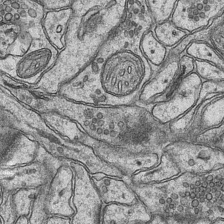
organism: Mouse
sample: CA1 Hippocampus